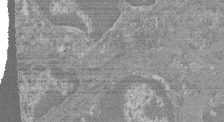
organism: Mouse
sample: Glomerulus